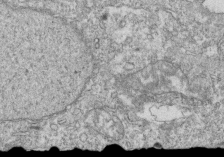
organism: Human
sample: HeLa cell HIV synapse